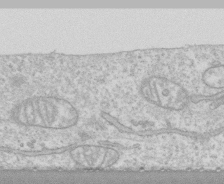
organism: Human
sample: CRL-1474